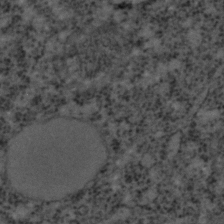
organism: C. elegans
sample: C. elegans embryo